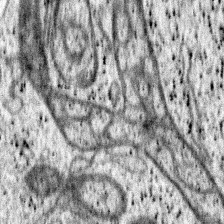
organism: Human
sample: HeLa cells